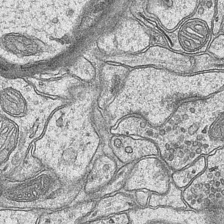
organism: Mouse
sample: CA1 Hippocampus